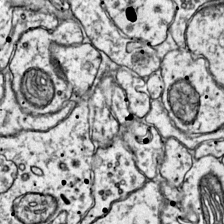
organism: Mouse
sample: Primary visual cortex